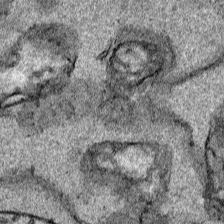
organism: Human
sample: Mitochondria in HCT116 cells